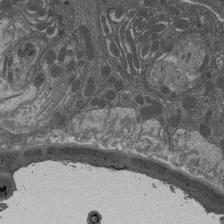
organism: Drosophila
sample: Antenna